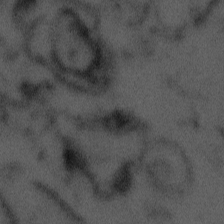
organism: Tuwongella immobilis